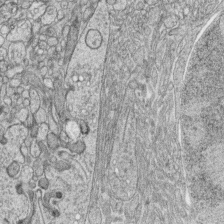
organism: Zebrafish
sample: synaptic ribbons in rod cells and cone cells